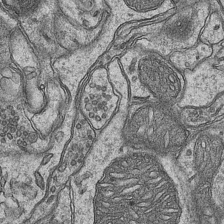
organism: Mouse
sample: CA1 Hippocampus